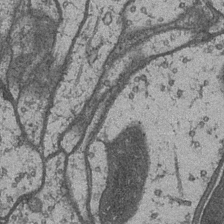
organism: Drosophila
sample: Optic medulla